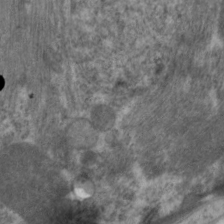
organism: C. elegans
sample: Pharynx